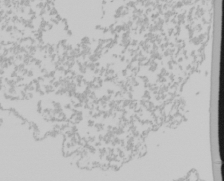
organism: Mouse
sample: Cancer cell death in ED-1 cells